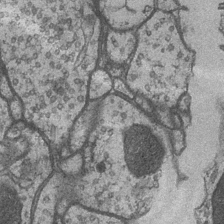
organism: Drosophila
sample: Optic medulla